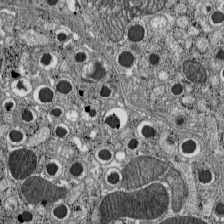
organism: C57BL Mouse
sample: Pancreatic islet